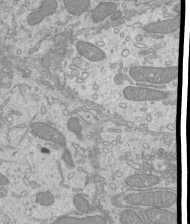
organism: Mouse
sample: Cilia; mouse epididymis